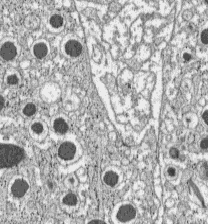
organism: C57BL Mouse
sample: Pancreatic islet